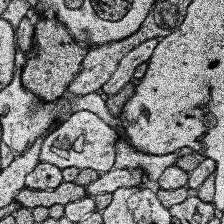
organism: Human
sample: Temporal Lobe